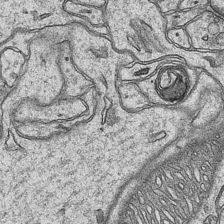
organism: Mouse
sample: CA1 Hippocampus